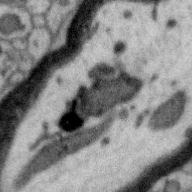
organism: Zebra finch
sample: Brain